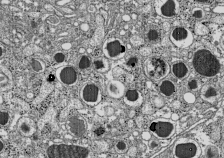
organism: C57BL Mouse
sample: Pancreatic islet